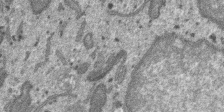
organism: Human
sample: Lung epithelial cells infected with SARS-CoV-2